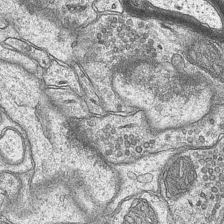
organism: Mouse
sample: CA1 Hippocampus